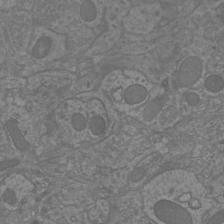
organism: Mouse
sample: Cortical neurons